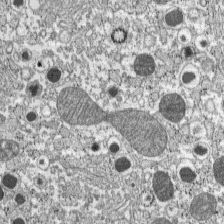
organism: C57BL Mouse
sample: Pancreatic islet